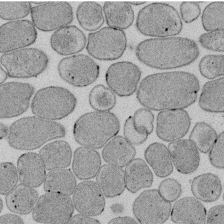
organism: E. coli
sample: Bacterial nucleoid